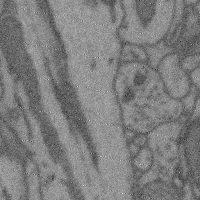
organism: Mouse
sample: Cerebral cortex